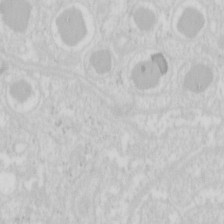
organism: Mouse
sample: Pancreas